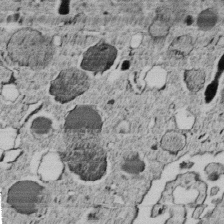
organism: C. elegans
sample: C. elegans embryo early stage